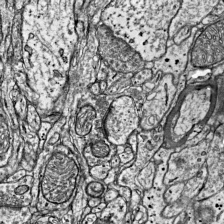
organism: Mouse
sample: Visual Cortex